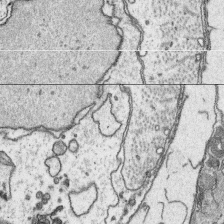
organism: Platynereis dumerilii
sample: Parapodia